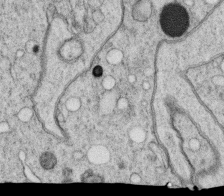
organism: C. elegans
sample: C. elegans oocyte; sperm cells